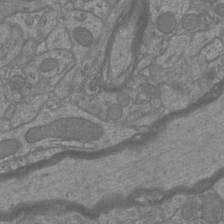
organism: Mouse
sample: Cortical neurons